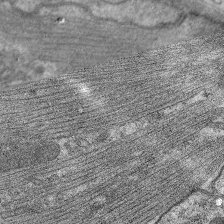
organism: C. elegans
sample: Pharynx